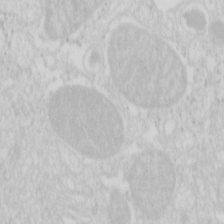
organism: Mouse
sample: Pancreas